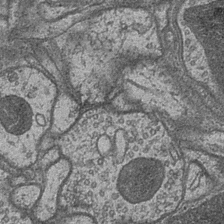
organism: Drosophila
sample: Optic medulla